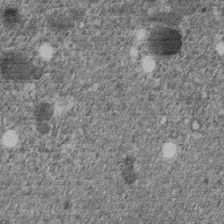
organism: C. elegans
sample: C. elegans embryo early stage